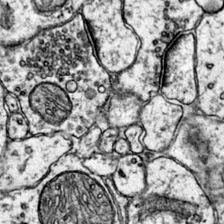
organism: Mouse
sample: Primary visual cortex